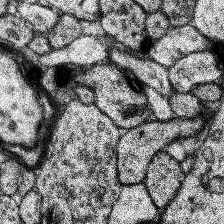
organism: Human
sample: Temporal Lobe